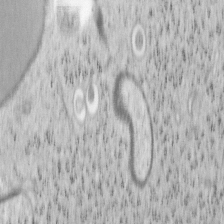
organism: Human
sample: HeLa cells